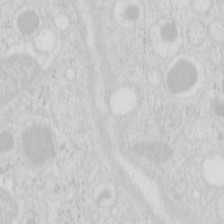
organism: Mouse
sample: Pancreas